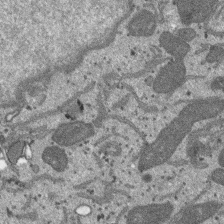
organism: Human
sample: Lung epithelial cells infected with SARS-CoV-2